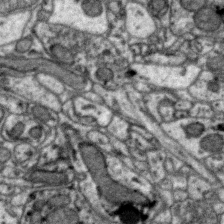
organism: Zebra finch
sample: Brain